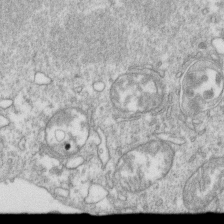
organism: Mouse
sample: Activated OT-1 CD8+ T cells